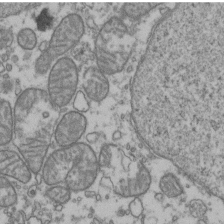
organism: Human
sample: Activated Jurkat CD4+ T cells